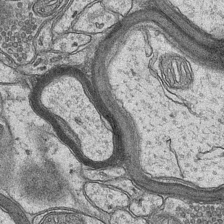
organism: Mouse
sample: CA1 Hippocampus